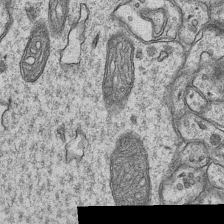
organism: Mouse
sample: CA1 Hippocampus